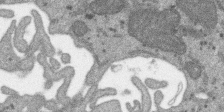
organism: Human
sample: Lung epithelial cells infected with SARS-CoV-2